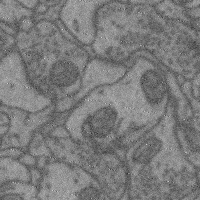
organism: Mouse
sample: Cerebral cortex